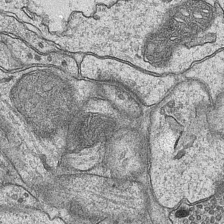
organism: Mouse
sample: CA1 Hippocampus